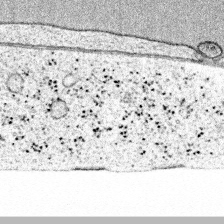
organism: Human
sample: HeLa cells